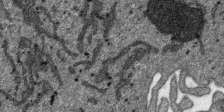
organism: Human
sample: Lung epithelial cells infected with SARS-CoV-2